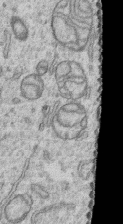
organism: Human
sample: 1205lu cells